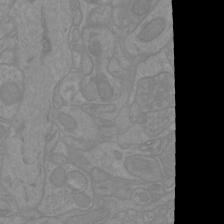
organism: Mouse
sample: Cortical neurons